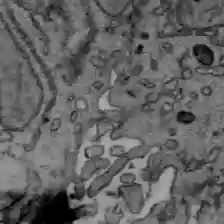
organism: C57BL Mouse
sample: Liver